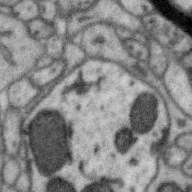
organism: Zebra finch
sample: Brain